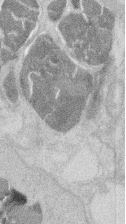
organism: Mouse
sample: T cell stromal cell synapse